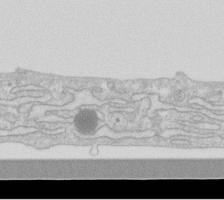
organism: Human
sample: Fibroblast cells